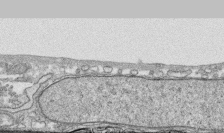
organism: Human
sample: CRL-1474